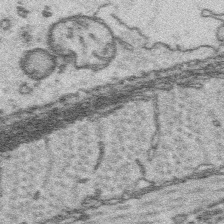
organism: Platynereis dumerilii